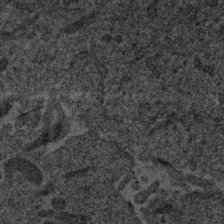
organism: Human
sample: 1205lu cells